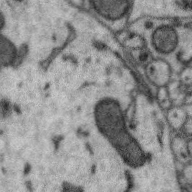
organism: Zebra finch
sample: Brain